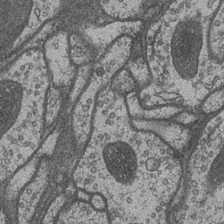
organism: Drosophila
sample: Optic medulla